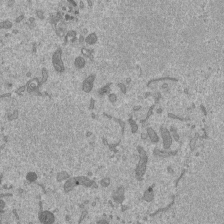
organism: Mouse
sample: ED-1 cell nuclei; centrioles